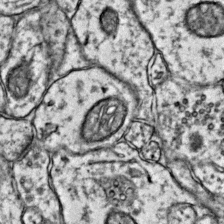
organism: Mouse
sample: Primary visual cortex